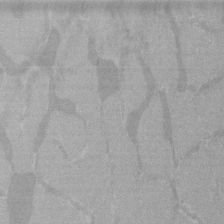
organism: C57BL Mouse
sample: Tibialis anterior muscle cell